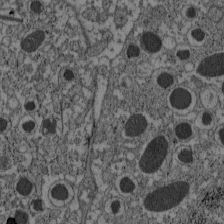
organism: C57BL Mouse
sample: Pancreatic islet